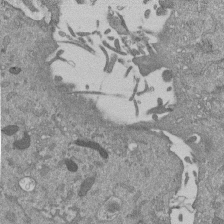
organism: Mouse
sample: ED-1 cell nuclei; centrioles